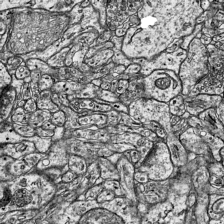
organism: Mouse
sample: Visual Cortex